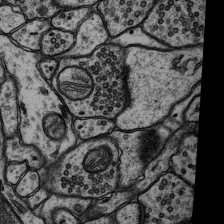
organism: Rat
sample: Hippocampus